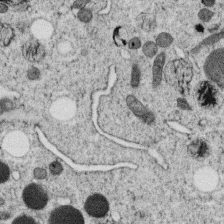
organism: C. elegans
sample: C. elegans oocyte; sperm cells